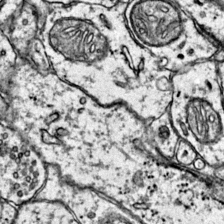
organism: Mouse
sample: Primary visual cortex